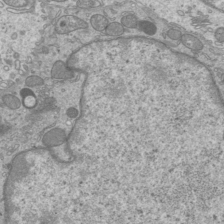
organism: Mouse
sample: Cilia; mouse epididymis